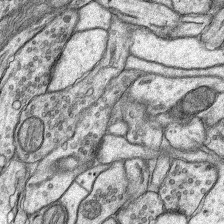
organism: Rat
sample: Hippocampus